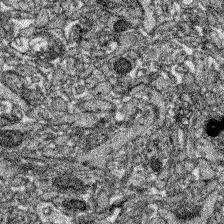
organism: Zebrafish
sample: Larval olfactory bulb